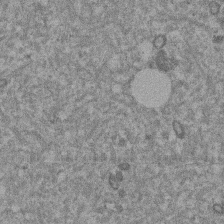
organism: Mouse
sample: Dividing mouse embryo 1 cell stage